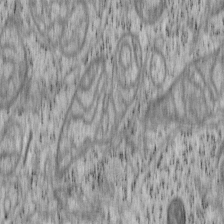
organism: Human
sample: HeLa cells